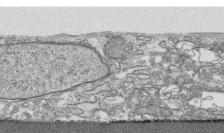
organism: Human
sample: CRL-1474